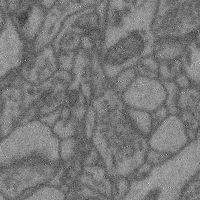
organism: Mouse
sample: Cerebral cortex